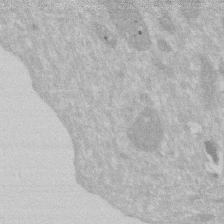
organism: Human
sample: HIV infected U937 cells